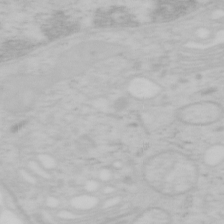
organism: Mouse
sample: OT-I killer T cells with ID8 ovarian cancer cells